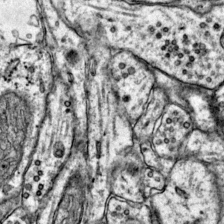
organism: Mouse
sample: Primary visual cortex